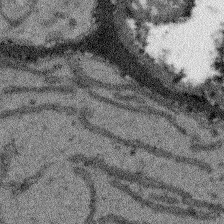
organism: Arabidopsis thaliana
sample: Root tip